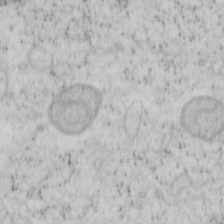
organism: Human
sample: HeLa cells